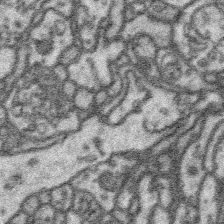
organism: Platynereis dumerilii